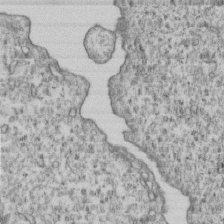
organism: Human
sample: MDA-MB-231 cells